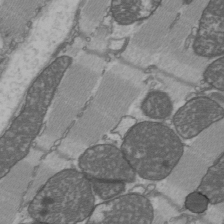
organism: C57BL Mouse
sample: Heart